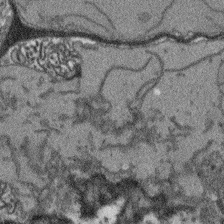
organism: Arabidopsis thaliana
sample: Root tip